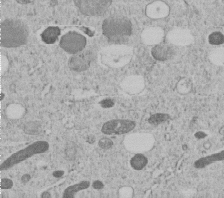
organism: C. elegans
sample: C. elegans embryo early stage